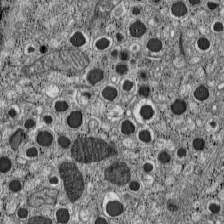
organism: C57BL Mouse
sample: Pancreatic islet